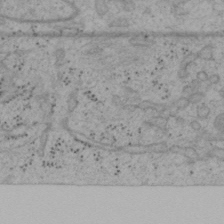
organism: Human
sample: HeLa cells